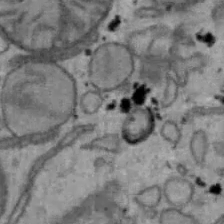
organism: Mouse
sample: Liver